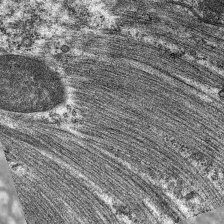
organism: C. elegans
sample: Pharynx